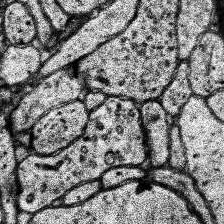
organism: Human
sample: Temporal Lobe